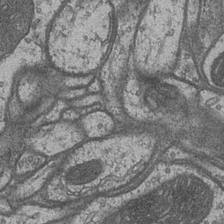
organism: Drosophila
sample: Optic medulla